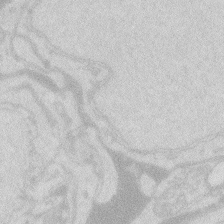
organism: Zebrafish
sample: Macrophage